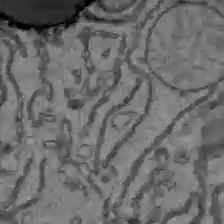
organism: C57BL Mouse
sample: Liver